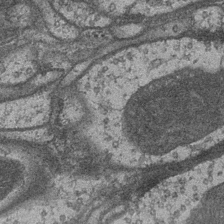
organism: Drosophila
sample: Optic medulla